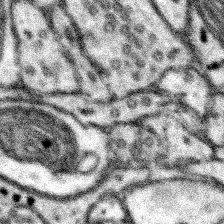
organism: Mouse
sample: Somatosensory cortex neuropil